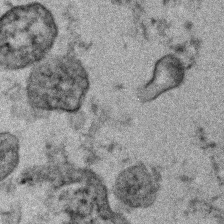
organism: Human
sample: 1205lu cells